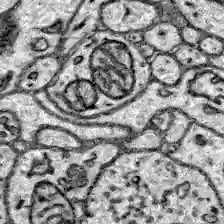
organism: Zebrafish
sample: Brain